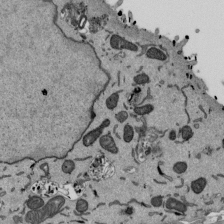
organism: Mouse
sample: ED-1 cell nuclei; centrioles